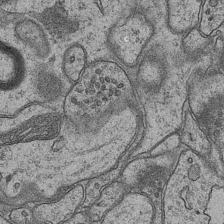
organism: Mouse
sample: CA1 Hippocampus